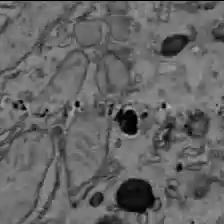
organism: C57BL Mouse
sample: Liver